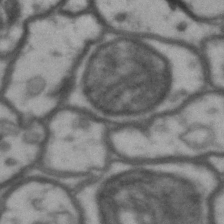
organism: Drosophila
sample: Brain